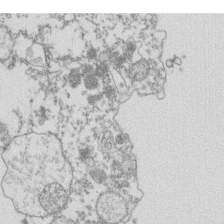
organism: Human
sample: HeLa cell HIV synapse